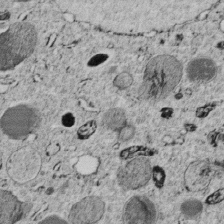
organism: C. elegans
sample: C. elegans embryo early stage